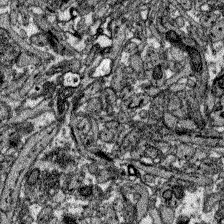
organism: Zebrafish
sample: Larval olfactory bulb